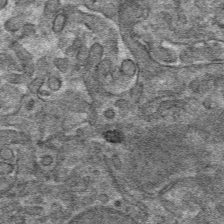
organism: Mouse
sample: Mouse hepatocytes